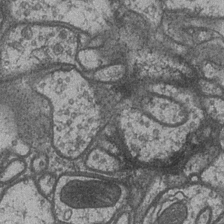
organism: Drosophila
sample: Optic medulla